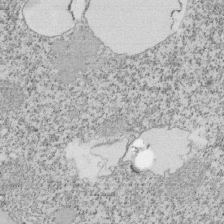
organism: Tetrahymena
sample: Cilia in tetrahymena